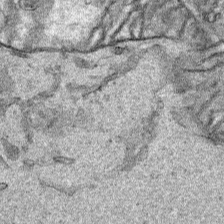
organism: Human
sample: Mitochondria in HCT116 cells